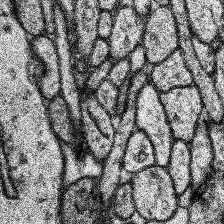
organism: Human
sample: Temporal Lobe